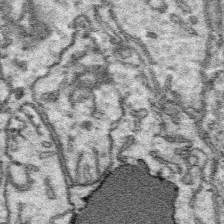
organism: Platynereis dumerilii